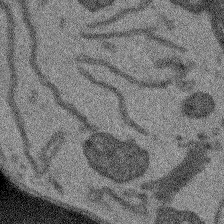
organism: Arabidopsis thaliana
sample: Root tip